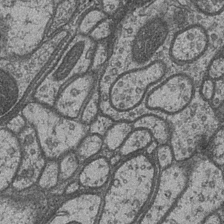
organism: Drosophila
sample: Optic medulla